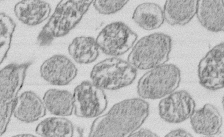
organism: E. coli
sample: Bacterial nucleoid